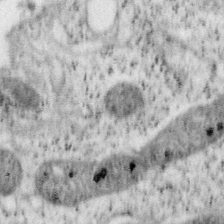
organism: Mouse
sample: OT-I killer T cells with ID8 ovarian cancer cells